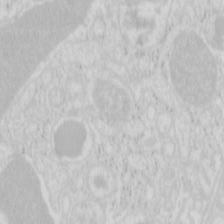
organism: Mouse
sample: Pancreas